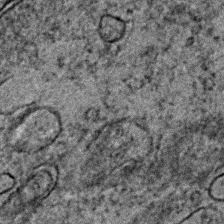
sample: Trachea